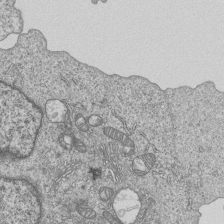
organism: Human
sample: MDA-MB-231 cells